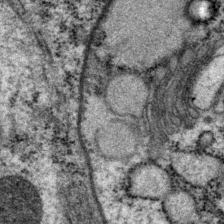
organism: P. pacificus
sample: Pharynx